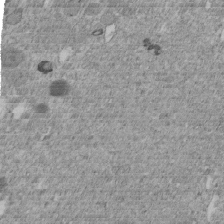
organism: C. elegans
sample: C. elegans embryo early stage